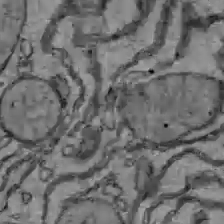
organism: C57BL Mouse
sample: Liver